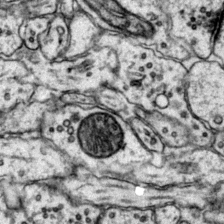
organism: Mouse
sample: Primary visual cortex